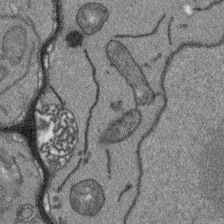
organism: Arabidopsis thaliana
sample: Root tip